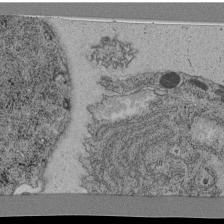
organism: C. elegans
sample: C. elegans pharynx